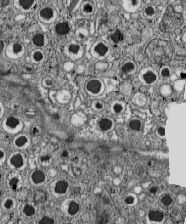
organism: C57BL Mouse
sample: Pancreatic islet